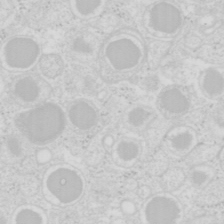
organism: Mouse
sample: Pancreas